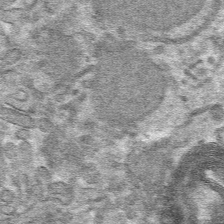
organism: Mouse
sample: Mouse hepatocytes